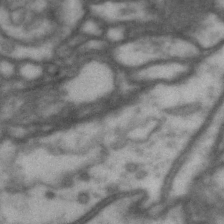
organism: Drosophila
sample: Brain